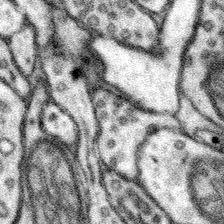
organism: Mouse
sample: Somatosensory cortex neuropil